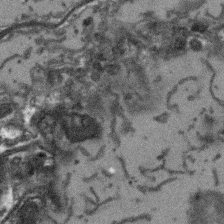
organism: Arabidopsis thaliana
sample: Root tip